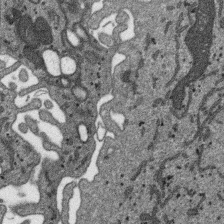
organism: Human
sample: Lung epithelial cells infected with SARS-CoV-2